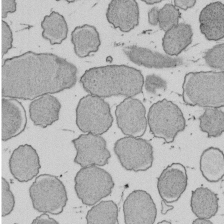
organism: E. coli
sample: Bacterial nucleoid